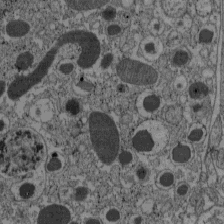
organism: C57BL Mouse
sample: Pancreatic islet